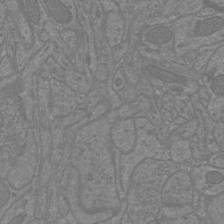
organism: Mouse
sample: Cortical neurons